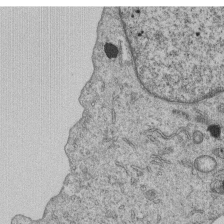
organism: Human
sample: MDA-MB-231 cells